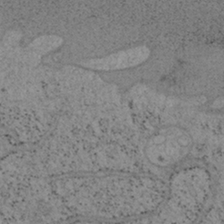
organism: Mouse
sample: OT-I killer T cells with ID8 ovarian cancer cells